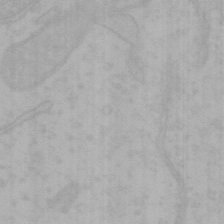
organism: Mouse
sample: Choroid plexus